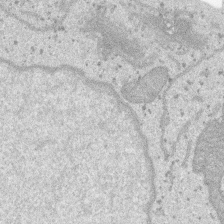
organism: Human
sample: Lung epithelial cells infected with SARS-CoV-2